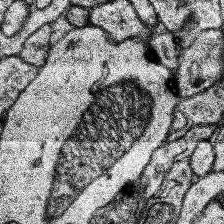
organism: Human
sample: Temporal Lobe